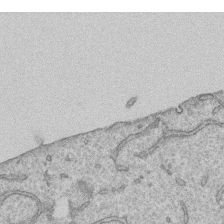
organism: Human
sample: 1205lu cells